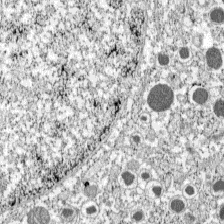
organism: C57BL Mouse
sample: Pancreatic islet